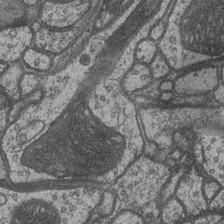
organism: Drosophila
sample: Optic medulla